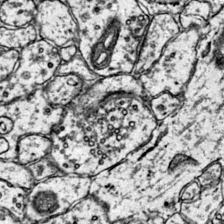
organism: Mouse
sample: Primary visual cortex